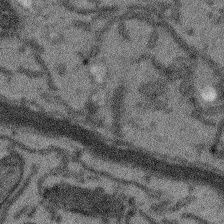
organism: Arabidopsis thaliana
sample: Root tip